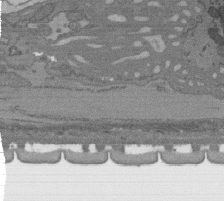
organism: C. elegans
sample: AFD neurons C. elegans